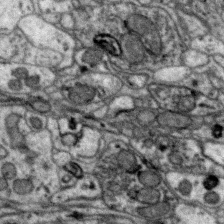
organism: Zebra finch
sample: Brain